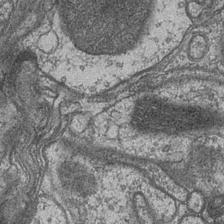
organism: Drosophila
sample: Optic medulla